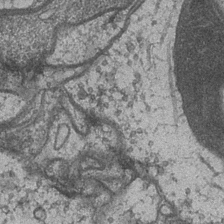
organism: Drosophila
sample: Optic medulla